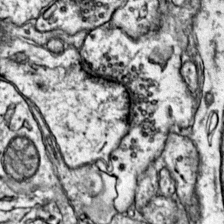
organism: Mouse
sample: Primary visual cortex